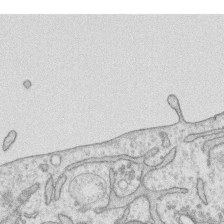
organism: Human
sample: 1205lu cells